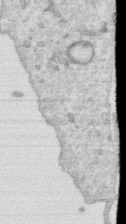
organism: Human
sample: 1205lu cells